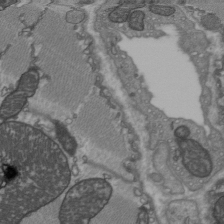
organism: C57BL Mouse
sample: Heart